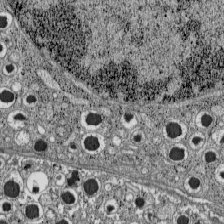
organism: C57BL Mouse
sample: Pancreatic islet